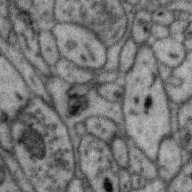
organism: Zebra finch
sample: Brain